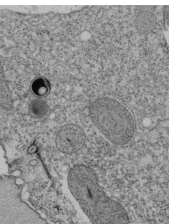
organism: Tetrahymena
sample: Cilia in tetrahymena